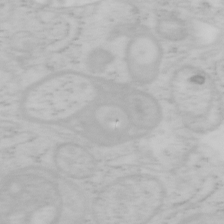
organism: Mouse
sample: OT-I killer T cells with ID8 ovarian cancer cells